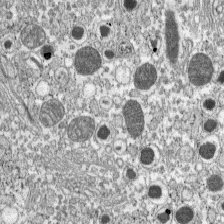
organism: C57BL Mouse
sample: Pancreatic islet